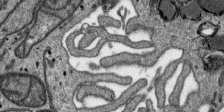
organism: Human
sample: Lung epithelial cells, uninfected (mock) control